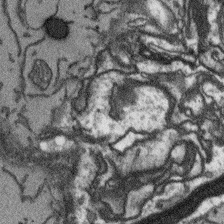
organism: Arabidopsis thaliana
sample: Root tip